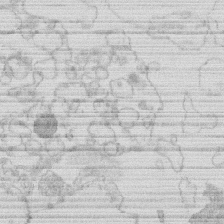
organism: Human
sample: Macrophage cells